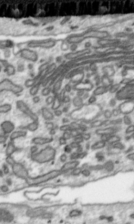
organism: Toxoplasma gondii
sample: Parasites in a vacuole inside a host cell